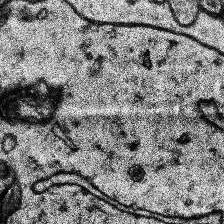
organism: Human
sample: Temporal Lobe